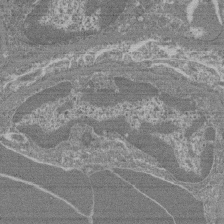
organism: Mouse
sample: Glomerulus